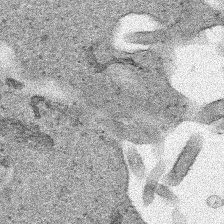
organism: Human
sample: Mitochondria in HCT116 cells